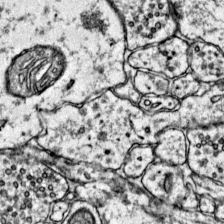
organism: Mouse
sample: Primary visual cortex